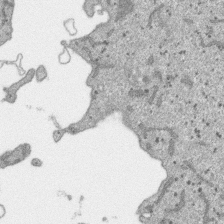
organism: Human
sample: Lung epithelial cells infected with SARS-CoV-2